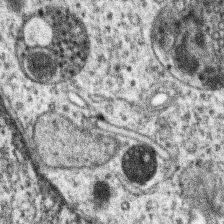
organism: Human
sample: HeLa cells